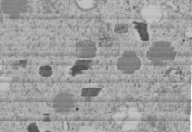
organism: C. elegans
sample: C. elegans embryo early stage